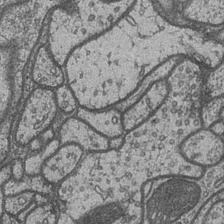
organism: Drosophila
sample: Optic medulla